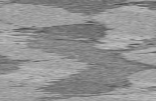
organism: C57BL Mouse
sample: Heart